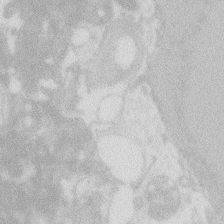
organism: Zebrafish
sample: Macrophage